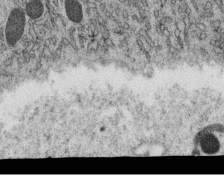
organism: C. elegans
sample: C. elegans oocyte; sperm cells